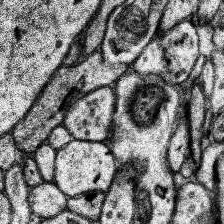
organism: Human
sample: Temporal Lobe